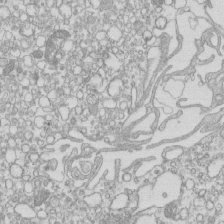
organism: Mouse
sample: Macrophages